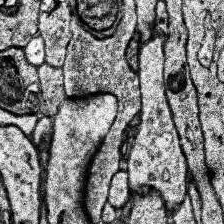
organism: Human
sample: Temporal Lobe